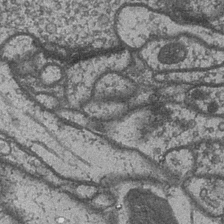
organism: Drosophila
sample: Optic medulla